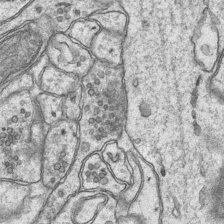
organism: Mouse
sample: CA1 Hippocampus